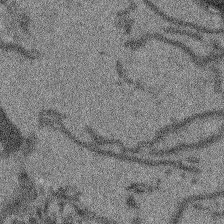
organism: Arabidopsis thaliana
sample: Root tip